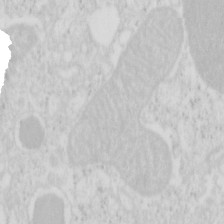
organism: Mouse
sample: Pancreas